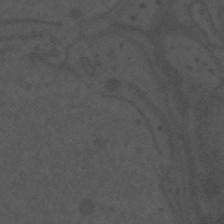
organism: Mouse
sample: Suprachiasmatic nucleus